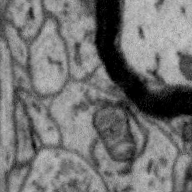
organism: Zebra finch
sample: Brain